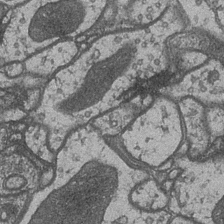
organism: Drosophila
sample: Optic medulla